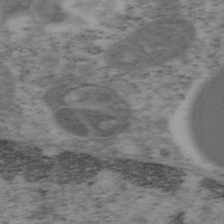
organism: Mouse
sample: OT-I killer T cells with ID8 ovarian cancer cells